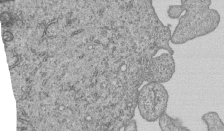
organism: Human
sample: MDA-MB-231 cells